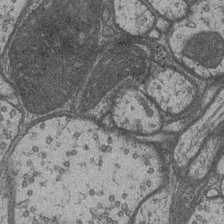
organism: Drosophila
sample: Optic medulla